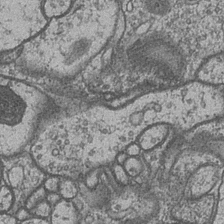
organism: Drosophila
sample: Optic medulla